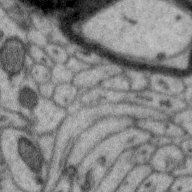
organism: Zebra finch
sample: Brain